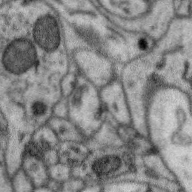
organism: Zebra finch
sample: Brain